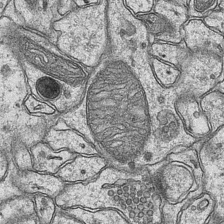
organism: Mouse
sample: CA1 Hippocampus